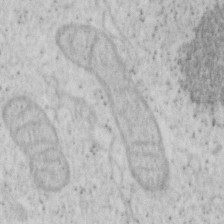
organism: Human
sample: HeLa cells